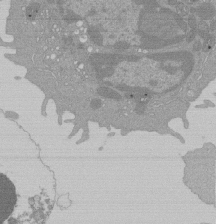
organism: Mouse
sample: Activated Pmel transgenic CD8+ T Cells